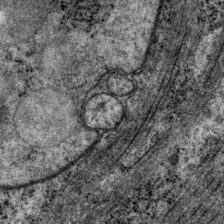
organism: P. pacificus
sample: Pharynx